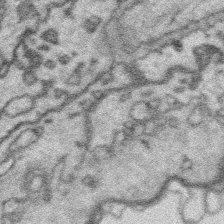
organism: Platynereis dumerilii